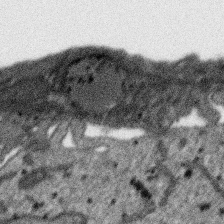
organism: Human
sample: Lung epithelial cells infected with SARS-CoV-2